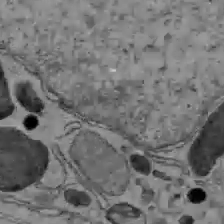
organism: C57BL Mouse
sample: Liver